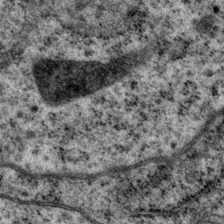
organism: P. pacificus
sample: Pharynx